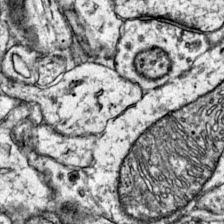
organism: Mouse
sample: Primary visual cortex